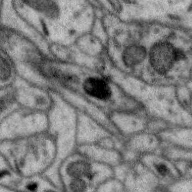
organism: Zebra finch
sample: Brain